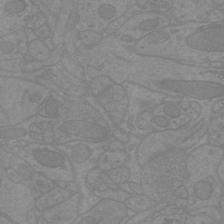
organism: Mouse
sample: Cortical neurons